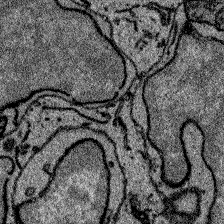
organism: Zebrafish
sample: Larval olfactory bulb